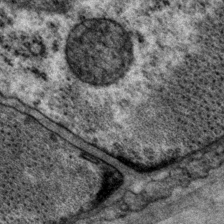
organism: P. pacificus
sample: Pharynx